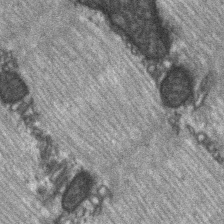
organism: C57BL Mouse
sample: Soleus